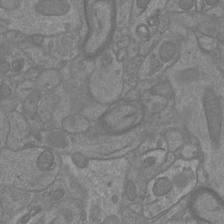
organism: Mouse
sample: Cortical neurons